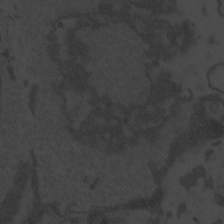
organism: Zebrafish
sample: Macrophage infected with Toxoplasma gondii